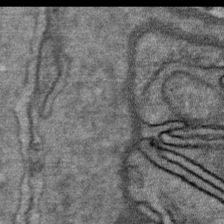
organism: Mouse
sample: Mouse Salivary gland